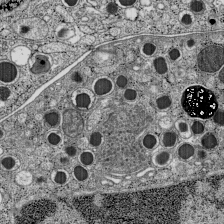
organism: C57BL Mouse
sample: Pancreatic islet